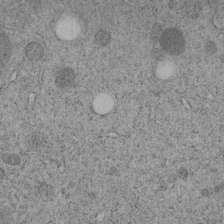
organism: C. elegans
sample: C. elegans embryo early stage